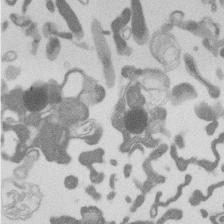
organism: Mouse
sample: Dividing mouse embryo 1 cell stage